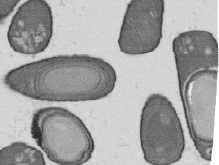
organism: B. subtilis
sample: Bacterial spore